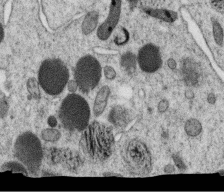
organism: C. elegans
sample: C. elegans oocyte; sperm cells